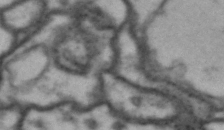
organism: Drosophila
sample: Brain